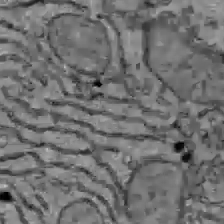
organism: C57BL Mouse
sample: Liver